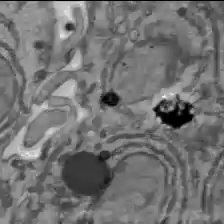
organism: C57BL Mouse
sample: Liver